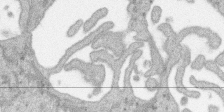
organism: Human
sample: Lung epithelial cells infected with SARS-CoV-2